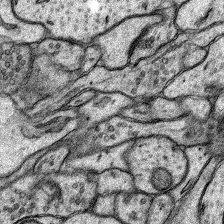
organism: Rat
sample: Hippocampus